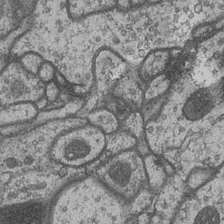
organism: Drosophila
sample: Optic medulla